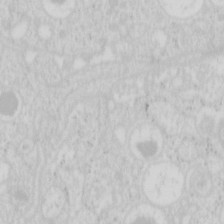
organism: Mouse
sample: Pancreas